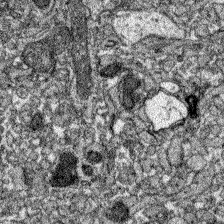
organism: Zebrafish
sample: Larval olfactory bulb